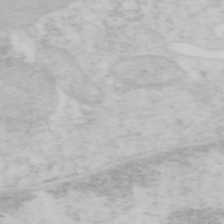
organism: Mouse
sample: OT-I killer T cells with ID8 ovarian cancer cells